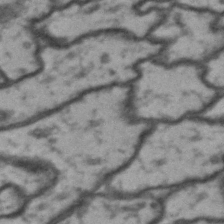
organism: Drosophila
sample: Brain